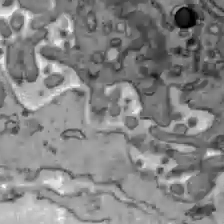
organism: C57BL Mouse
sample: Liver